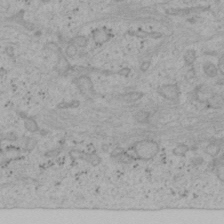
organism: Human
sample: HeLa cells